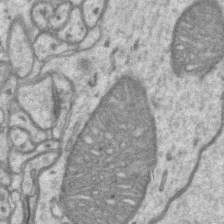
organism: Mouse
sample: CA1 Hippocampus